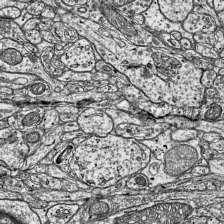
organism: Mouse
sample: Visual Cortex